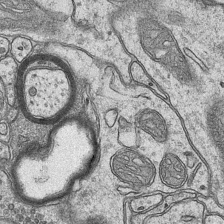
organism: Mouse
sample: CA1 Hippocampus